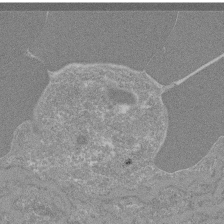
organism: Mouse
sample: Glomerulus